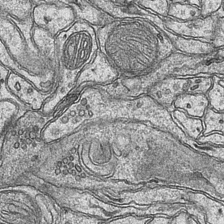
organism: Mouse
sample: CA1 Hippocampus